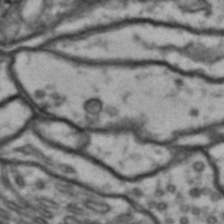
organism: Drosophila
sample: Brain